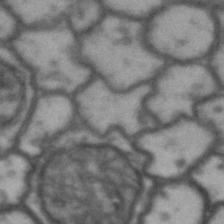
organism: Drosophila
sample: Brain